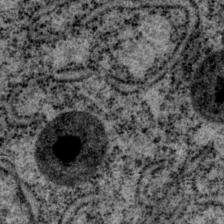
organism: P. pacificus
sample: Pharynx